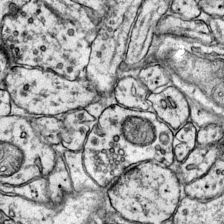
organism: Mouse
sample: Primary visual cortex